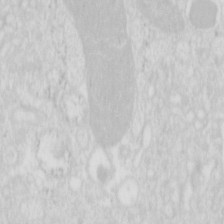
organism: Mouse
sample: Pancreas